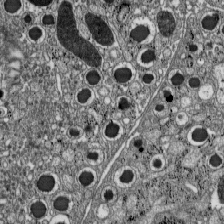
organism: C57BL Mouse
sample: Pancreatic islet